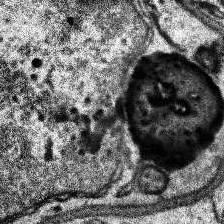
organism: Human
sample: Temporal Lobe